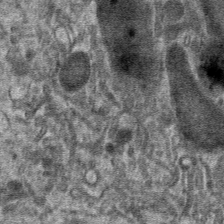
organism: Mouse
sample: Mouse hepatocytes